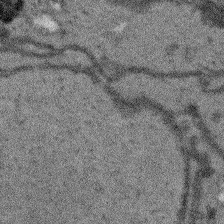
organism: Arabidopsis thaliana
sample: Root tip